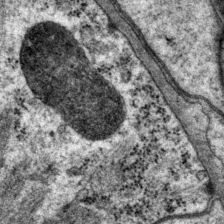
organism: P. pacificus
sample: Pharynx